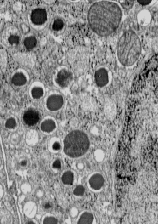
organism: C57BL Mouse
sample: Pancreatic islet